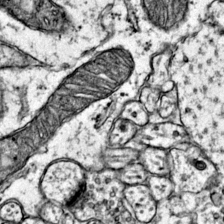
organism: Mouse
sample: Primary visual cortex